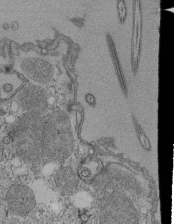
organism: Tetrahymena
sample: Cilia in tetrahymena